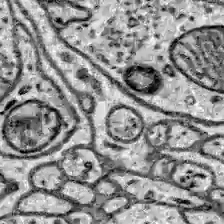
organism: Zebrafish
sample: Brain